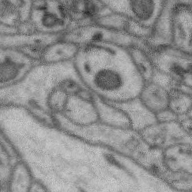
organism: Zebra finch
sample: Brain